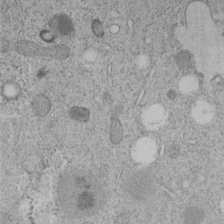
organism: C. elegans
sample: C. elegans embryo early stage